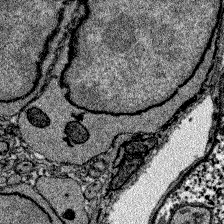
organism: Zebrafish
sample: Larval olfactory bulb